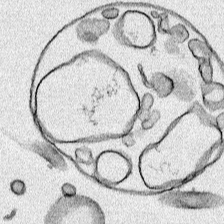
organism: Human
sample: Mitochondria in HCT116 cells